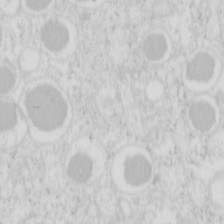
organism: Mouse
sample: Pancreas